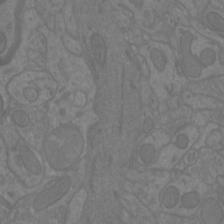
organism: Mouse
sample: Cortical neurons